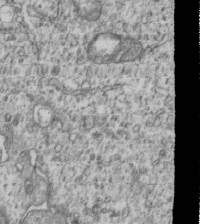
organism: Human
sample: MDA-MB-231 cells